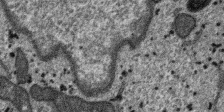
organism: Human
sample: Lung epithelial cells infected with SARS-CoV-2